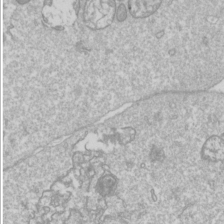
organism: Drosophila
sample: Cell division; meiosis; drosophila spermatocytes